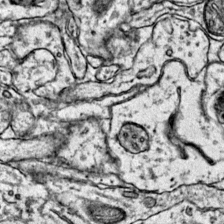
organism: Mouse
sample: Primary visual cortex